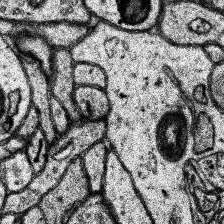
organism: Human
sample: Temporal Lobe